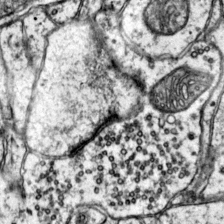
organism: Mouse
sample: Primary visual cortex